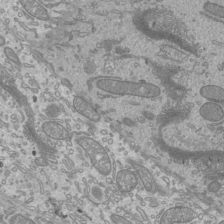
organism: Mouse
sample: Cilia; mouse epididymis